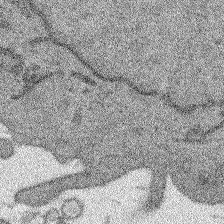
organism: Human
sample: HeLa cells